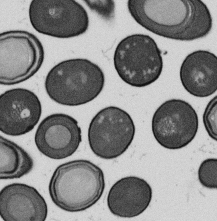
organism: B. subtilis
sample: Bacterial spore